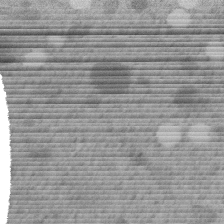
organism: C. elegans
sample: C. elegans embryo early stage